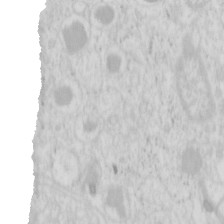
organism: Mouse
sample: Pancreas